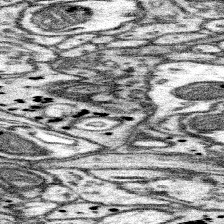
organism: Mouse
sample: Somatosensory cortex neuropil